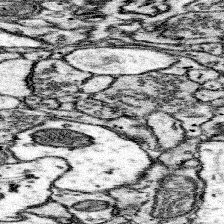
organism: Mouse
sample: Somatosensory cortex neuropil